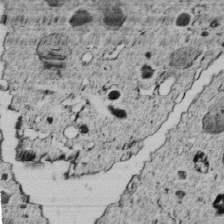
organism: C. elegans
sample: C. elegans embryo early stage